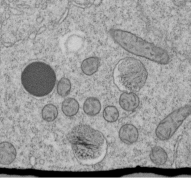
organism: C. elegans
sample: C. elegans embryo early stage